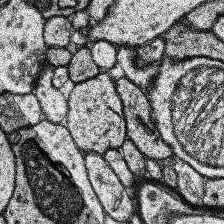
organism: Human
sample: Temporal Lobe